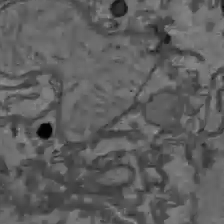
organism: C57BL Mouse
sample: Liver